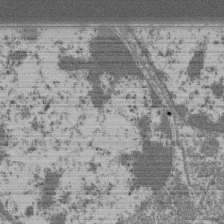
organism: Mouse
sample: Glomerulus